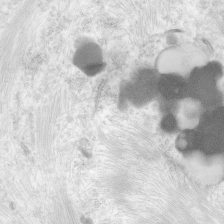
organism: Human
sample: Neocortex